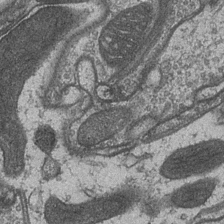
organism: Drosophila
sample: Optic medulla